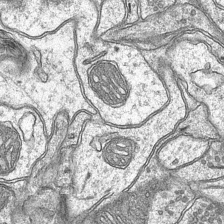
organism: Mouse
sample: CA1 Hippocampus